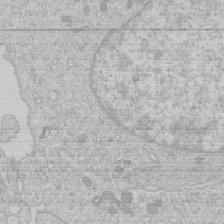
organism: Human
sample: Macrophage cells